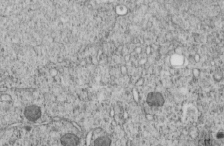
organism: C. elegans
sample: C. elegans embryo early stage